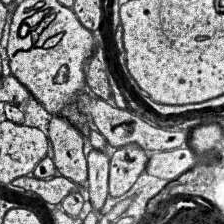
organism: Human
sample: Temporal Lobe